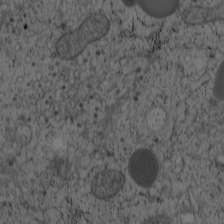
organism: African green monkey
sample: COS-7 cells